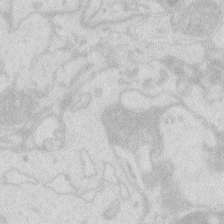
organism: Zebrafish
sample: Macrophage